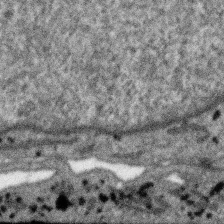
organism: Human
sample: Lung epithelial cells infected with SARS-CoV-2